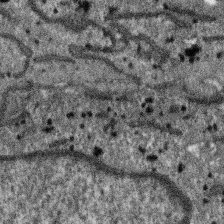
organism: Human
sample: Lung epithelial cells infected with SARS-CoV-2